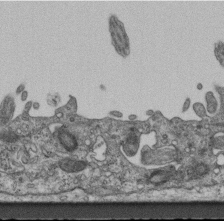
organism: Mouse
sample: Centriole in ependymal cells